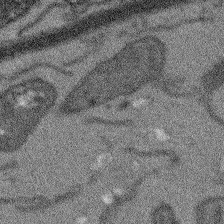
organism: Arabidopsis thaliana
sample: Root tip